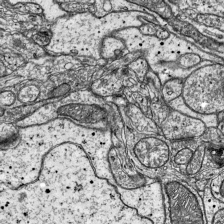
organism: Mouse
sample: Visual Cortex